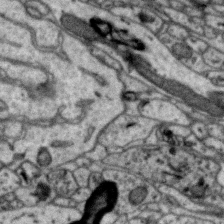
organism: Zebra finch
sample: Brain